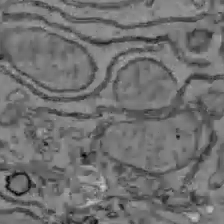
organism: C57BL Mouse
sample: Liver